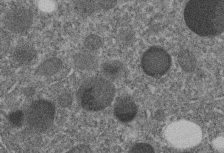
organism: C. elegans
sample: C. elegans embryo early stage